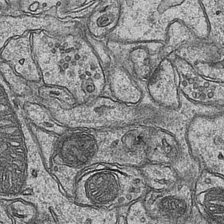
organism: Mouse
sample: CA1 Hippocampus